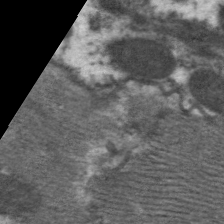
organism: C. elegans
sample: Pharynx